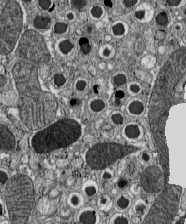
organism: C57BL Mouse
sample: Pancreatic islet